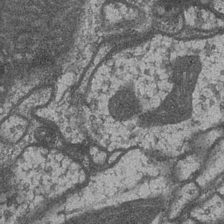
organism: Drosophila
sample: Optic medulla